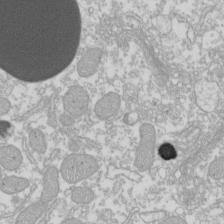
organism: Xenopus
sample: Cilia; centrioles in frog embryo cells